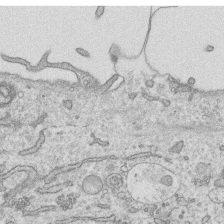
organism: Human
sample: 1205lu cells